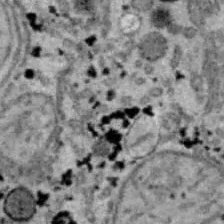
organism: Mouse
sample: Liver from an obese (ob/ob) mouse